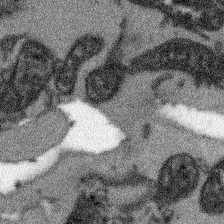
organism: Arabidopsis thaliana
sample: Root tip